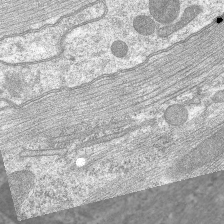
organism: C. elegans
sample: Pharynx